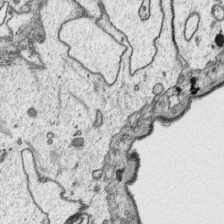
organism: Platynereis dumerilii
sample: Parapodia